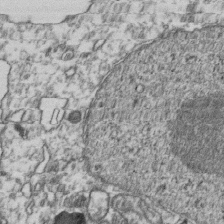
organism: Human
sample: Activated Jurkat CD4+ T cells